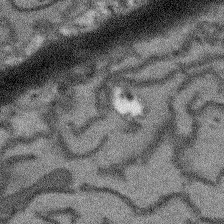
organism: Arabidopsis thaliana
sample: Root tip